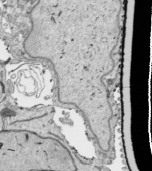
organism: Human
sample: Mitochondria in HCT116 cells